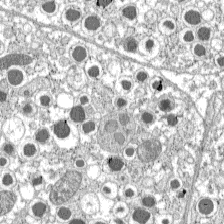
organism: C57BL Mouse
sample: Pancreatic islet